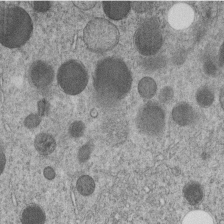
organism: C. elegans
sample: C. elegans embryo early stage